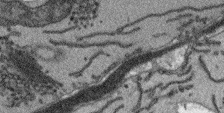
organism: Arabidopsis thaliana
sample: Root tip